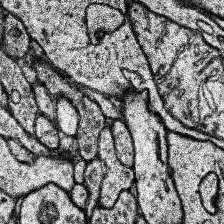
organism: Human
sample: Temporal Lobe